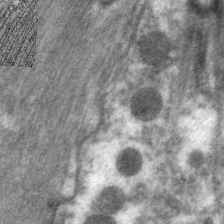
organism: C. elegans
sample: Pharynx